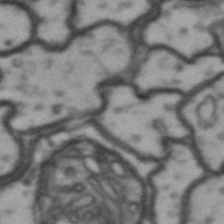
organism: Drosophila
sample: Brain